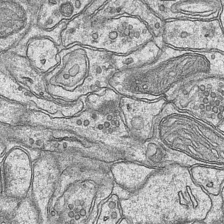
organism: Mouse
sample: CA1 Hippocampus